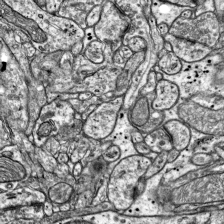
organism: Mouse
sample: Visual Cortex